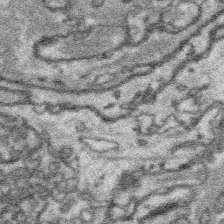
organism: Platynereis dumerilii